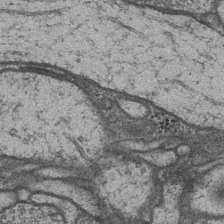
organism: Drosophila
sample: Optic medulla